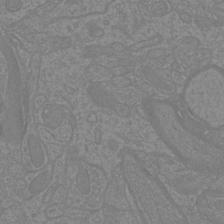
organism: Mouse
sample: Cortical neurons